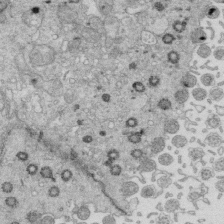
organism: Mouse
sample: Multiciliated cells